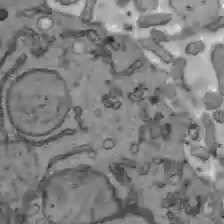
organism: C57BL Mouse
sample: Liver